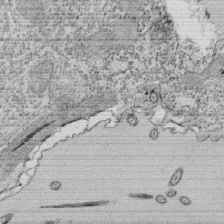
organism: Tetrahymena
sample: Cilia in tetrahymena